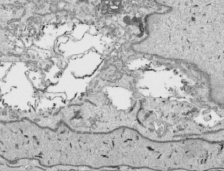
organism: Human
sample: Mitochondria in HCT116 cells